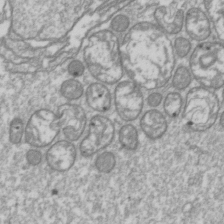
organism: Drosophila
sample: Cell division; meiosis; drosophila spermatocytes